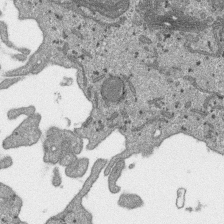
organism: Human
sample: Lung epithelial cells infected with SARS-CoV-2